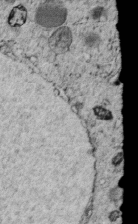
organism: C. elegans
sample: C. elegans embryo early stage